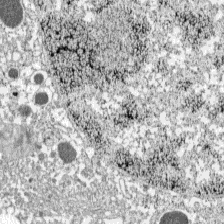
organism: C57BL Mouse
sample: Pancreatic islet